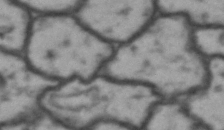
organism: Drosophila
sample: Brain